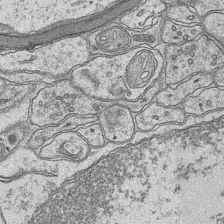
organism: Mouse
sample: CA1 Hippocampus